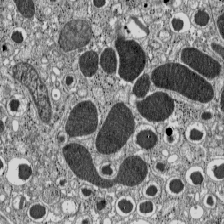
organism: C57BL Mouse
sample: Pancreatic islet